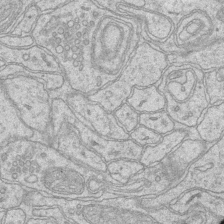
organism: Mouse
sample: CA1 Hippocampus